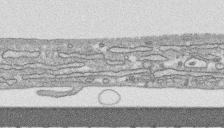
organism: Human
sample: CRL-1474